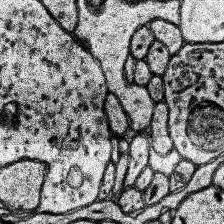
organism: Human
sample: Temporal Lobe